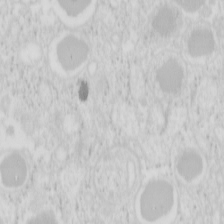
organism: Mouse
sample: Pancreas